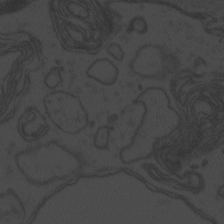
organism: Zebrafish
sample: Macrophage infected with Toxoplasma gondii